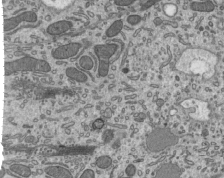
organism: Mouse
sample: Mouse epididymis efferent ductule cilia